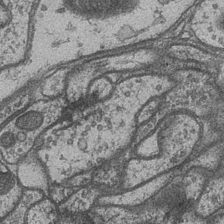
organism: Drosophila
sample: Optic medulla